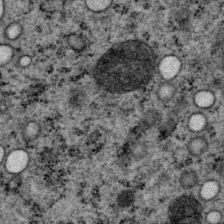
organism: P. pacificus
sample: Pharynx